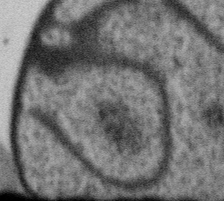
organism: Gemmata obscuriglobus